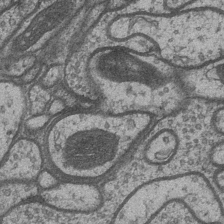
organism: Drosophila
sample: Optic medulla